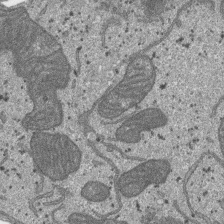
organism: Human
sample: Lung epithelial cells infected with SARS-CoV-2